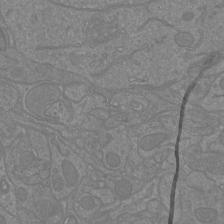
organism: Mouse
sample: Cortical neurons